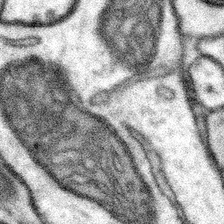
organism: Mouse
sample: Somatosensory cortex neuropil